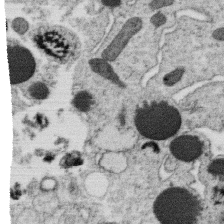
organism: C. elegans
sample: C. elegans oocyte; sperm cells